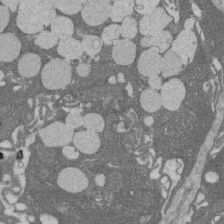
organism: Rat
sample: Salivary granule